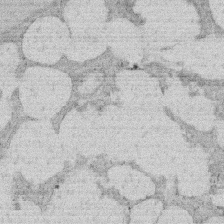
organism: Rat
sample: Salivary granule